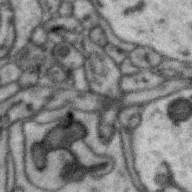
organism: Zebra finch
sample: Brain